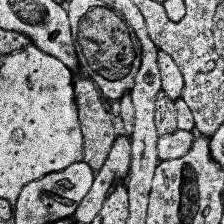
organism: Human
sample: Temporal Lobe